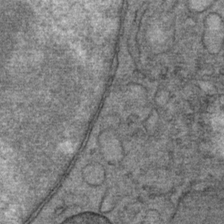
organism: Mouse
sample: Mouse Salivary gland